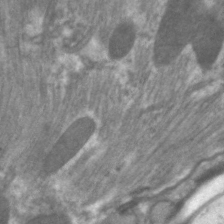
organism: C. elegans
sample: Pharynx